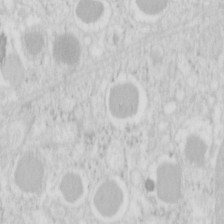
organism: Mouse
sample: Pancreas